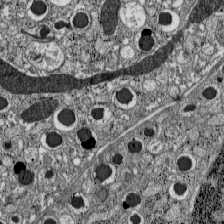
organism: C57BL Mouse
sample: Pancreatic islet